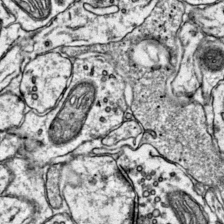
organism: Mouse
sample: Primary visual cortex